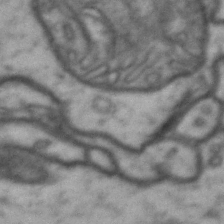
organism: Drosophila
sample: Brain